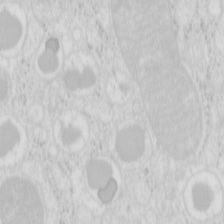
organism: Mouse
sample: Pancreas